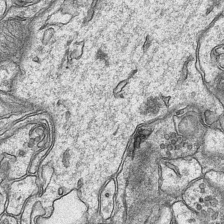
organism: Mouse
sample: CA1 Hippocampus